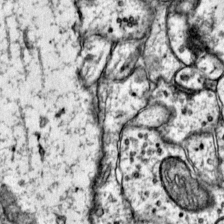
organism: Mouse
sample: Primary visual cortex